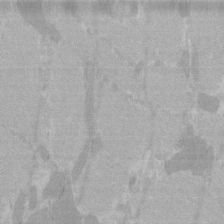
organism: C57BL Mouse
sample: Tibialis anterior muscle cell